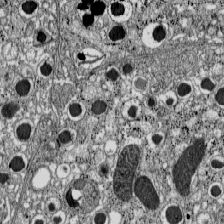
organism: C57BL Mouse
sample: Pancreatic islet